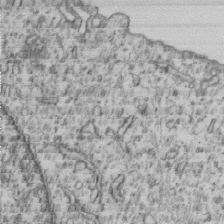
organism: Human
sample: MDA-MB-231 cells